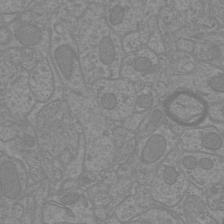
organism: Mouse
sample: Cortical neurons